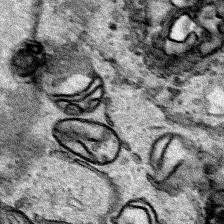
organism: Human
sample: Mitochondria in HCT116 cells